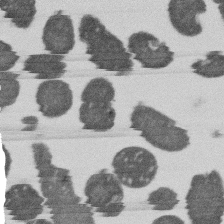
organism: E. coli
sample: Bacterial nucleoid